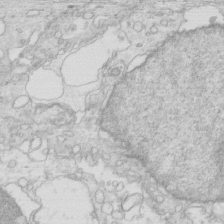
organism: Mouse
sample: Multiciliated cells